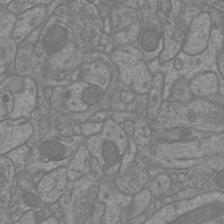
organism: Mouse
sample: Cortical neurons